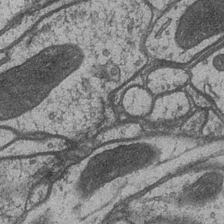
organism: Drosophila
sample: Optic medulla